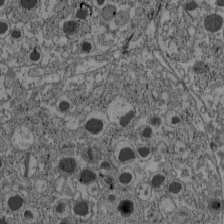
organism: C57BL Mouse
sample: Pancreatic islet